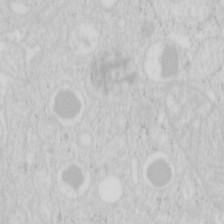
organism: Mouse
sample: Pancreas